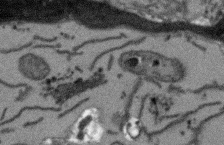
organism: Arabidopsis thaliana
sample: Root tip